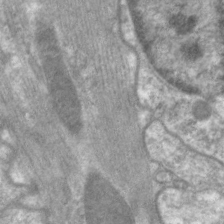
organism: C. elegans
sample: Pharynx